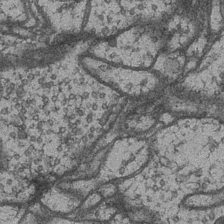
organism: Drosophila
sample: Optic medulla